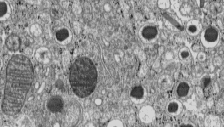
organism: C57BL Mouse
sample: Pancreatic islet